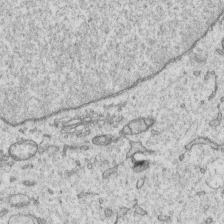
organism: Human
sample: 1205lu cells